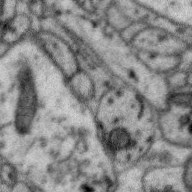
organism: Zebra finch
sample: Brain